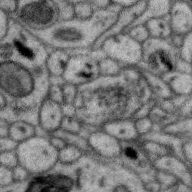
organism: Zebra finch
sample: Brain